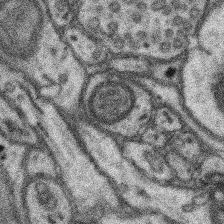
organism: Mouse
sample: Somatosensory cortex neuropil